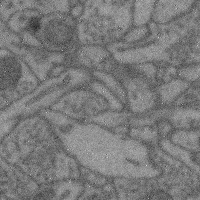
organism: Mouse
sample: Cerebral cortex